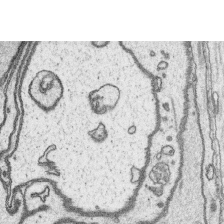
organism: Platynereis dumerilii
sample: Parapodia